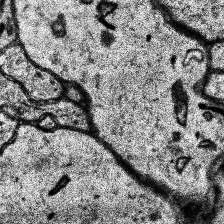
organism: Human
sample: Temporal Lobe